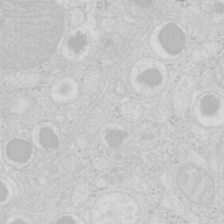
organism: Mouse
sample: Pancreas